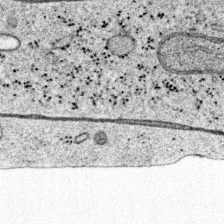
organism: Human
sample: HeLa cells